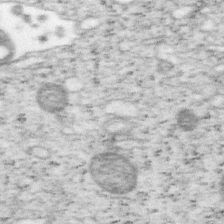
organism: Mouse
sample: OT-I killer T cells with ID8 ovarian cancer cells